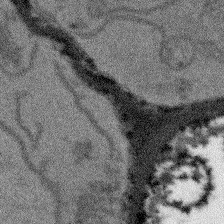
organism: Arabidopsis thaliana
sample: Root tip